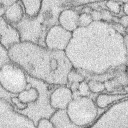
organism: Rabbit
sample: Retina